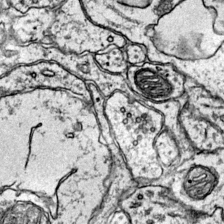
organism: Mouse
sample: Primary visual cortex